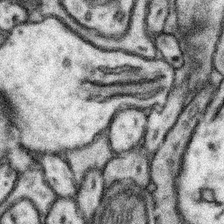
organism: Mouse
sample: Somatosensory cortex neuropil